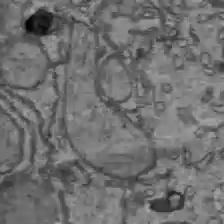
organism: C57BL Mouse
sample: Liver